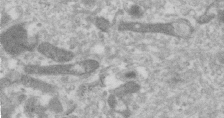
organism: Human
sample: Centriole in RPE cells